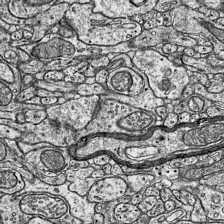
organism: Mouse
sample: Visual Cortex